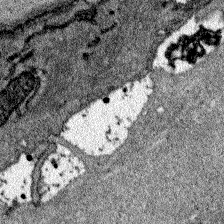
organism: Zebrafish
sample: Larval olfactory bulb